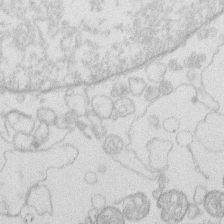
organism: Human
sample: Macrophage cells